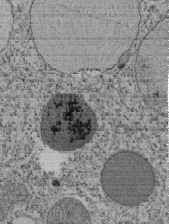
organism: Tetrahymena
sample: Cilia in tetrahymena